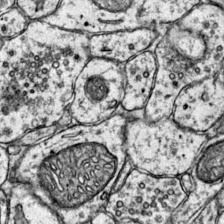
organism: Mouse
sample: Primary visual cortex